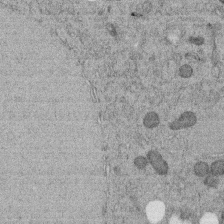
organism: C. elegans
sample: C. elegans embryo early stage